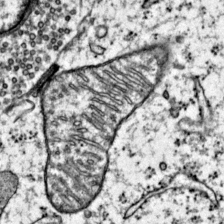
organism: Mouse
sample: Primary visual cortex